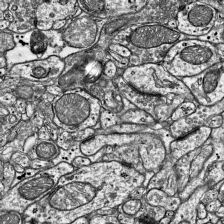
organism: Mouse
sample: Visual Cortex